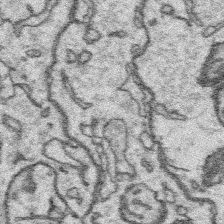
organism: Platynereis dumerilii